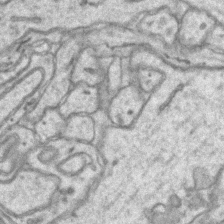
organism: Mouse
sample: CA1 Hippocampus